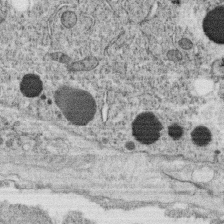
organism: C. elegans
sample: C. elegans oocyte; sperm cells